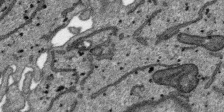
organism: Human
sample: Lung epithelial cells, uninfected (mock) control